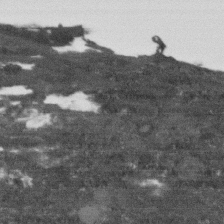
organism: Human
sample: Fibroblast cells